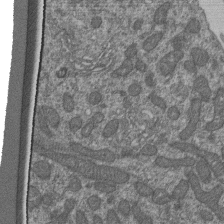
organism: Human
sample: Retinal organoid Rod and Cone cells